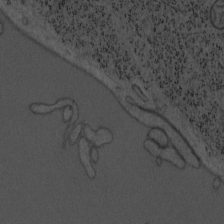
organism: Mouse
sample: OT-I killer T cells with ID8 ovarian cancer cells